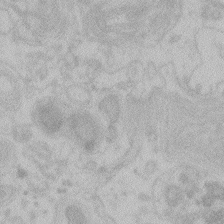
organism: Zebrafish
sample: Macrophage infected with Toxoplasma gondii